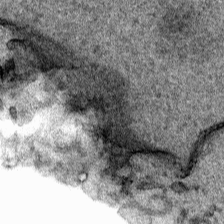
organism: Human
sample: Mitochondria in HCT116 cells